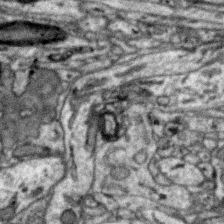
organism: Zebra finch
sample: Brain